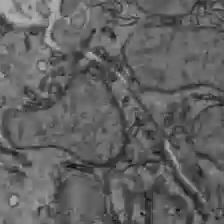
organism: C57BL Mouse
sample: Liver